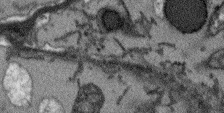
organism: Arabidopsis thaliana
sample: Root tip